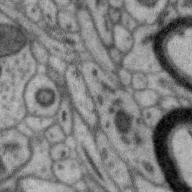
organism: Zebra finch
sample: Brain